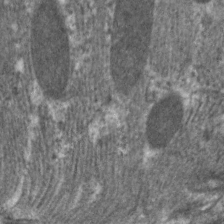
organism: C. elegans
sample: Pharynx